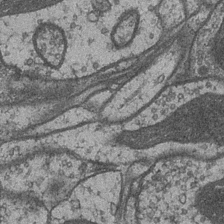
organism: Drosophila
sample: Optic medulla